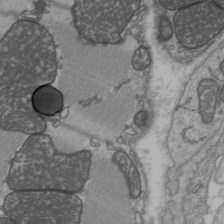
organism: C57BL Mouse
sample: Heart